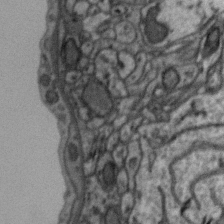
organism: Zebra finch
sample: Brain